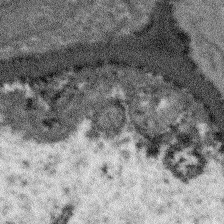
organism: Arabidopsis thaliana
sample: Root tip